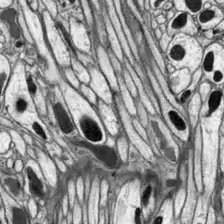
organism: Drosophila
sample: Optic lobe